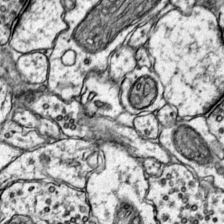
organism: Mouse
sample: Primary visual cortex